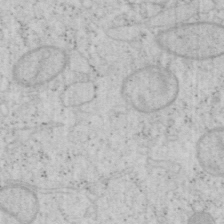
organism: Human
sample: HeLa cells